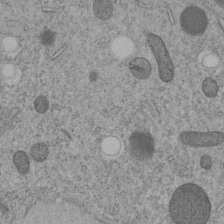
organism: C. elegans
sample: C. elegans embryo early stage